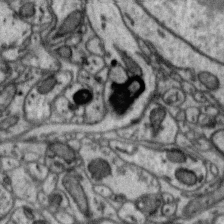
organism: Zebra finch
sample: Brain